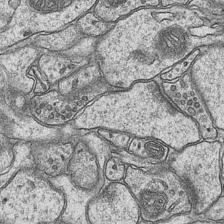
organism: Mouse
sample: CA1 Hippocampus